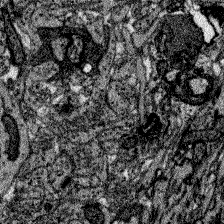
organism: Zebrafish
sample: Larval olfactory bulb